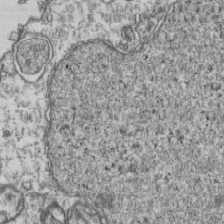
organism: Human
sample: Activated Jurkat CD4+ T cells